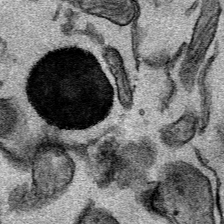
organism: Mouse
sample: Cancer cell death in ED-1 cells